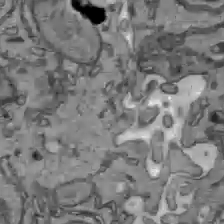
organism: C57BL Mouse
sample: Liver